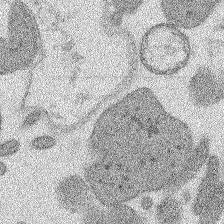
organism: Human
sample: HeLa cells